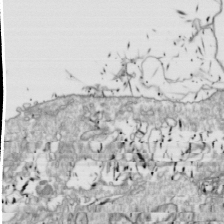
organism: Drosophila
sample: Cell division; meiosis; drosophila spermatocytes